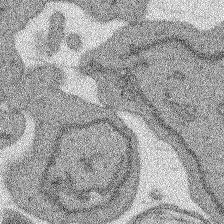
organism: Human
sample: HeLa cells